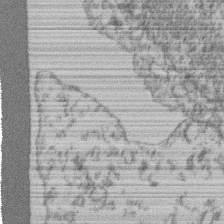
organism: Mouse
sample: T cell stromal cell synapse